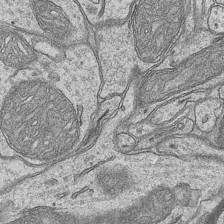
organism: Mouse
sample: CA1 Hippocampus